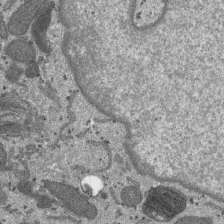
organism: Human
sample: Lung epithelial cells infected with SARS-CoV-2